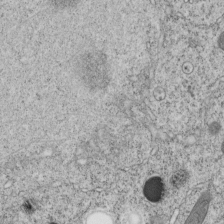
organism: C. elegans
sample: C. elegans embryo early stage